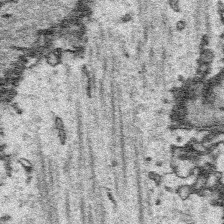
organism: Platynereis dumerilii